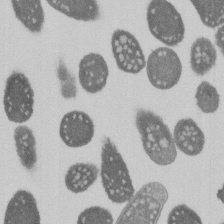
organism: E. coli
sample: Bacterial nucleoid